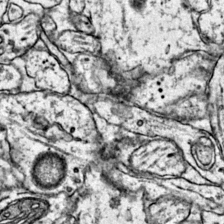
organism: Mouse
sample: Primary visual cortex